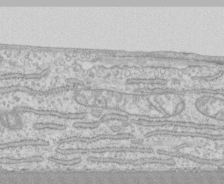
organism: Human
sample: CRL-1474